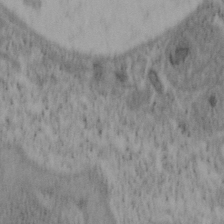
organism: Mouse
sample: OT-I killer T cells with ID8 ovarian cancer cells